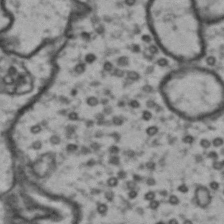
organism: Drosophila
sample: Brain